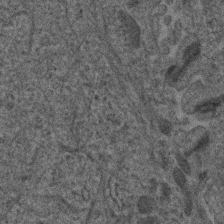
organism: Human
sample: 1205lu cells